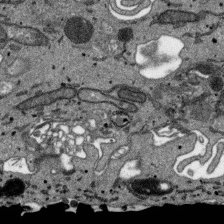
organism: Human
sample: Lung epithelial cells, uninfected (mock) control